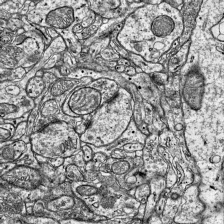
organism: Mouse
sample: Visual Cortex